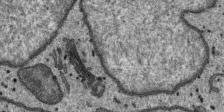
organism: Human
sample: Lung epithelial cells, uninfected (mock) control